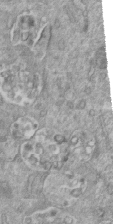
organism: Mouse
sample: ED-1 cell nuclei; centrioles